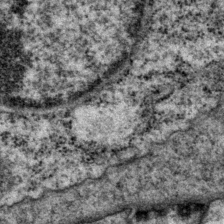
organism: P. pacificus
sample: Pharynx